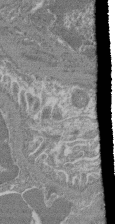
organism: Mouse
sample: Glomerulus